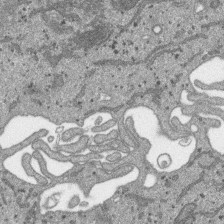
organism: Human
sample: Lung epithelial cells infected with SARS-CoV-2